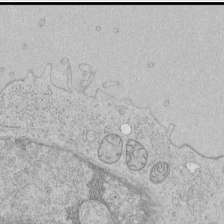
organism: Human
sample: Mitochondria in HCT116 cells